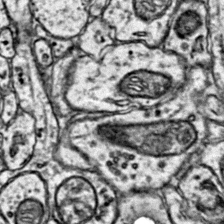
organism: Mouse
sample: Primary visual cortex